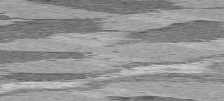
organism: C57BL Mouse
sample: Heart